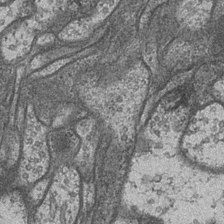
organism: Drosophila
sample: Optic medulla